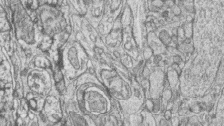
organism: Zebrafish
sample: synaptic ribbons in rod cells and cone cells